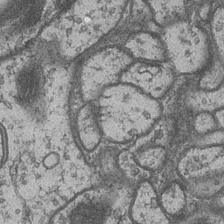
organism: Drosophila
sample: Optic medulla